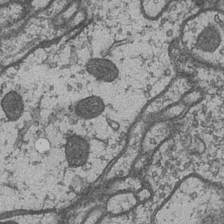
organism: Drosophila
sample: Optic medulla